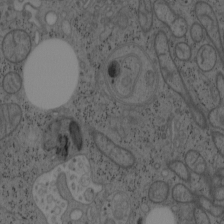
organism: Mouse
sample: OT-I killer T cells with ID8 ovarian cancer cells